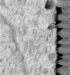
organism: Human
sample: Centriole in RPE cells